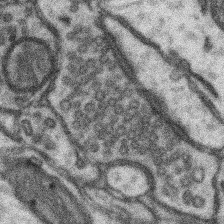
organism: Mouse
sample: Somatosensory cortex neuropil